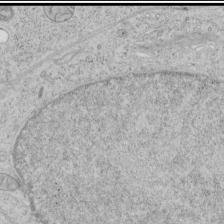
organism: Human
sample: Mitochondria in HCT116 cells